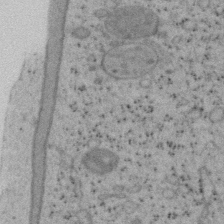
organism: Human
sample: HeLa cells